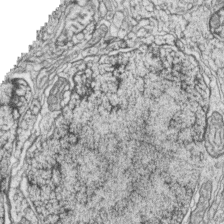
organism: Zebrafish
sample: synaptic ribbons in rod cells and cone cells